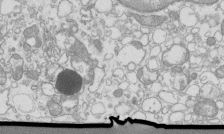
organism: Mouse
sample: Macrophages